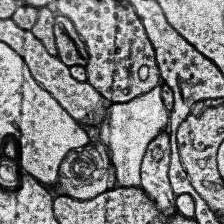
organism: Human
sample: Temporal Lobe